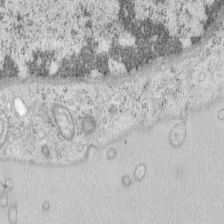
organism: Mouse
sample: OT-I killer T cells with ID8 ovarian cancer cells